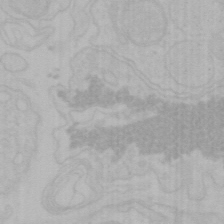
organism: Mouse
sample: Choroid plexus